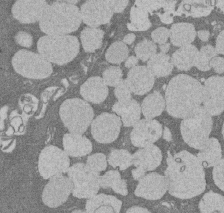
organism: Rat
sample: Salivary granule